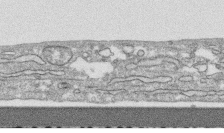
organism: Human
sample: CRL-1474